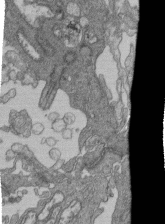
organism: Human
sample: Retinal organoid Rod and Cone cells